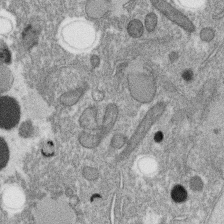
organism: C. elegans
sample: C. elegans oocyte; sperm cells